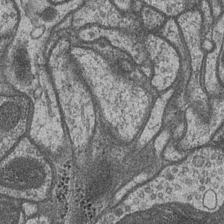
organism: Drosophila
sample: Optic medulla